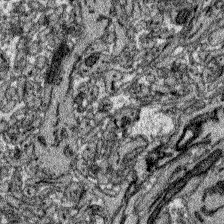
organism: Zebrafish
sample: Larval olfactory bulb